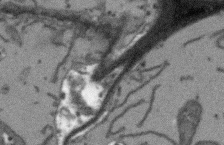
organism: Arabidopsis thaliana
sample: Root tip